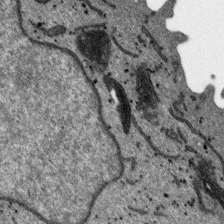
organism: Human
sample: Lung epithelial cells, uninfected (mock) control